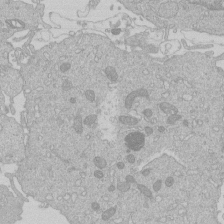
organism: Human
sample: Macrophage cells